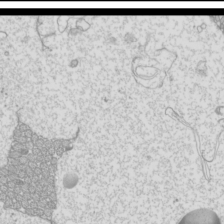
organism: Mouse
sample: Cilia; mouse epididymis